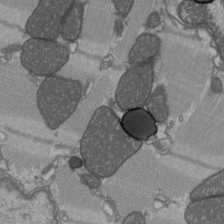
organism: C57BL Mouse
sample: Heart